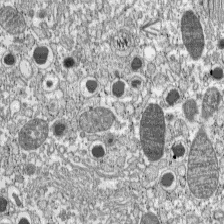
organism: C57BL Mouse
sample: Pancreatic islet